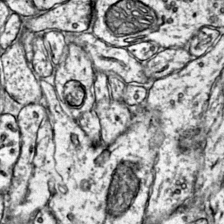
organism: Mouse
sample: Primary visual cortex